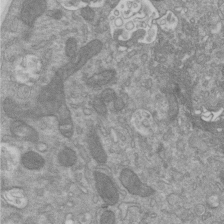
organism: Mouse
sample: ED-1 cell nuclei; centrioles